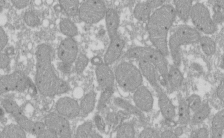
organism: Xenopus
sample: Cilia; centrioles in frog embryo cells